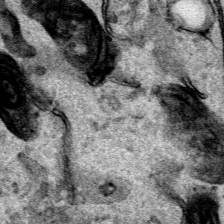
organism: Human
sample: Mitochondria in HCT116 cells